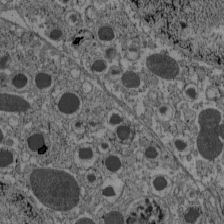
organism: C57BL Mouse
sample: Pancreatic islet